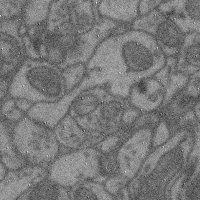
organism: Mouse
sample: Cerebral cortex